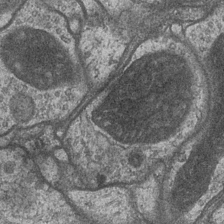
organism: Drosophila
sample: Optic medulla